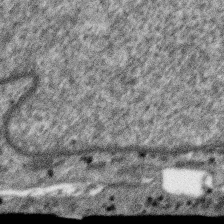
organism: Human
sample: Lung epithelial cells infected with SARS-CoV-2